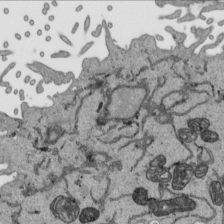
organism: Human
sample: Mitochondria in HCT116 cells